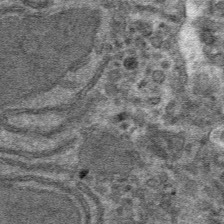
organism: Mouse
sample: Mouse hepatocytes